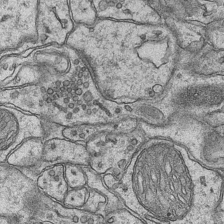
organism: Mouse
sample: CA1 Hippocampus